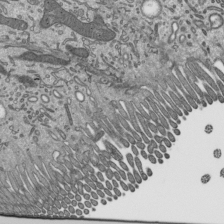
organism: Mouse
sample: Mouse epididymis efferent ductule cilia